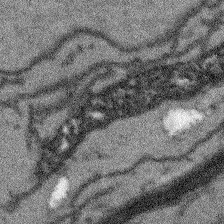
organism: Arabidopsis thaliana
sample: Root tip